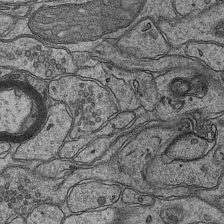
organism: Mouse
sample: CA1 Hippocampus